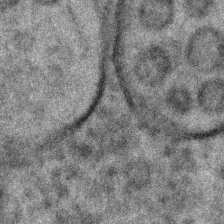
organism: C. elegans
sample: C. elegans embryo